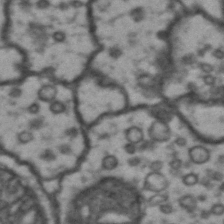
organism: Drosophila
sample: Brain